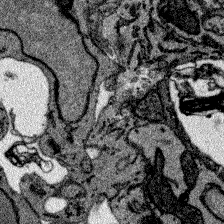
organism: Zebrafish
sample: Larval olfactory bulb